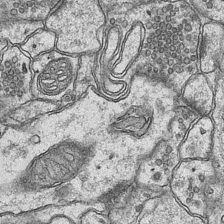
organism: Mouse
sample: CA1 Hippocampus